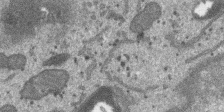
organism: Human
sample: Lung epithelial cells infected with SARS-CoV-2